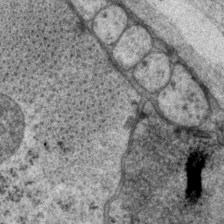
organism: P. pacificus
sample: Pharynx